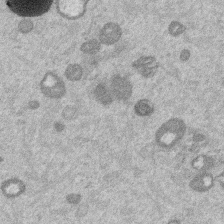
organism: Mouse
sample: Dividing mouse embryo 1 cell stage